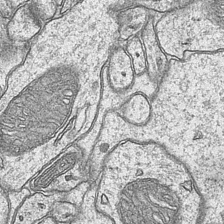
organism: Mouse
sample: CA1 Hippocampus